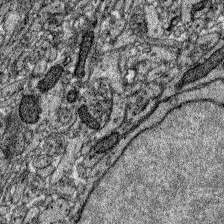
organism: Zebrafish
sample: Larval olfactory bulb